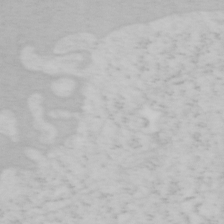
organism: Mouse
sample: OT-I killer T cells with ID8 ovarian cancer cells